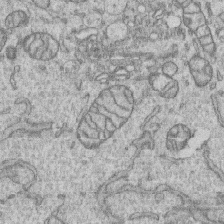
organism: Human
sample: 1205lu cells